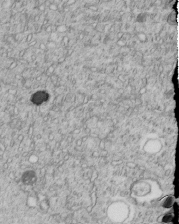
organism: C. elegans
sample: C. elegans embryo early stage